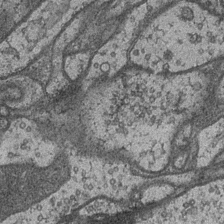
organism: Drosophila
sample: Optic medulla